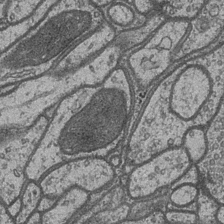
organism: Drosophila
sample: Optic medulla